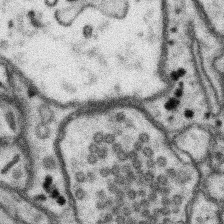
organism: Mouse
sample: Somatosensory cortex neuropil